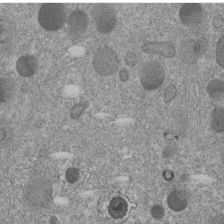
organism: C. elegans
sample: C. elegans embryo early stage